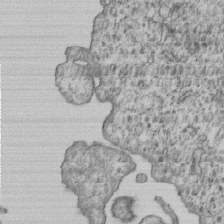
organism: Human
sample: MDA-MB-231 cells